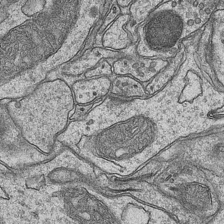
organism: Mouse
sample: CA1 Hippocampus